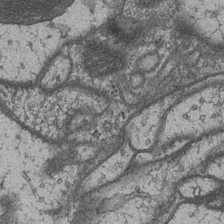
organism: Drosophila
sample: Optic medulla